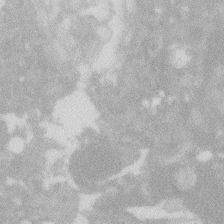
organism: Zebrafish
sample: Macrophage